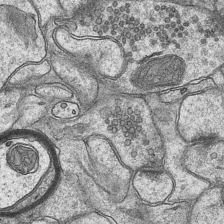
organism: Mouse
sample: CA1 Hippocampus